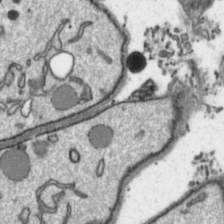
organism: Toxoplasma gondii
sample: Parasites in a vacuole inside a host cell